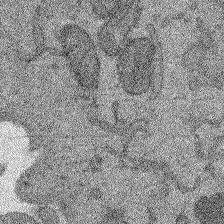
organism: Human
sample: HeLa cells